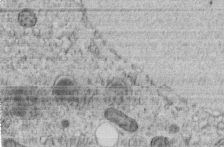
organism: C. elegans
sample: C. elegans embryo early stage